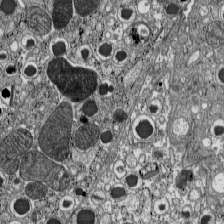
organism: C57BL Mouse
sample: Pancreatic islet